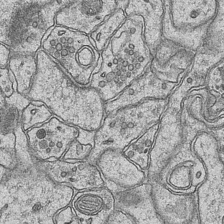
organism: Mouse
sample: CA1 Hippocampus